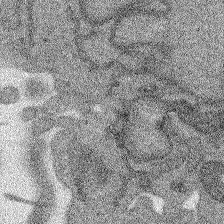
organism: Human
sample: HeLa cells